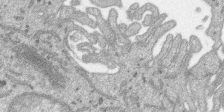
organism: Human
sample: Lung epithelial cells infected with SARS-CoV-2